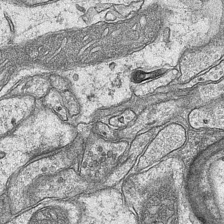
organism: Mouse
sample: CA1 Hippocampus